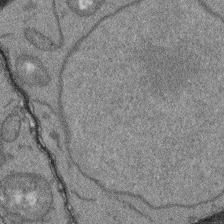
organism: Arabidopsis thaliana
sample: Root tip